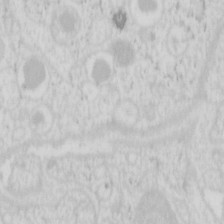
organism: Mouse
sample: Pancreas